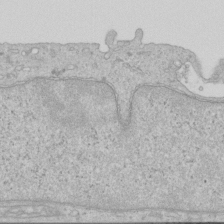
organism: Human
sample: Centriole in RPE cells